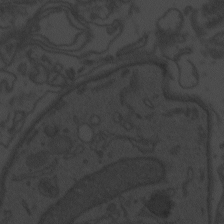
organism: Zebrafish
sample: Macrophage infected with Toxoplasma gondii